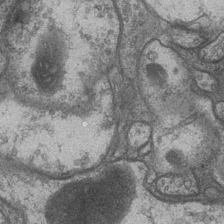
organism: Drosophila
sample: Optic medulla